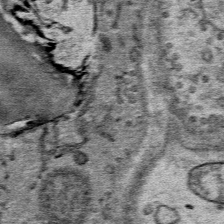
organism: Mouse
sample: Mouse Salivary gland